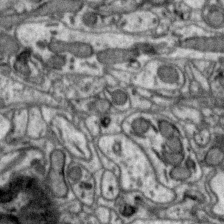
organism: Zebra finch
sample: Brain